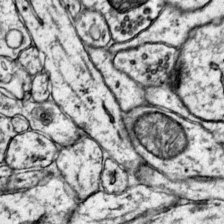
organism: Mouse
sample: Primary visual cortex